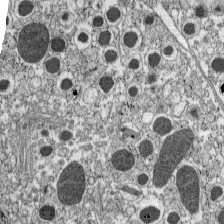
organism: C57BL Mouse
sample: Pancreatic islet